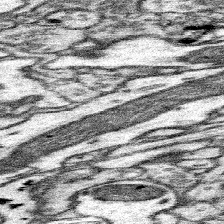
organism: Mouse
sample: Somatosensory cortex neuropil